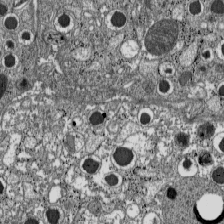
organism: C57BL Mouse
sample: Pancreatic islet